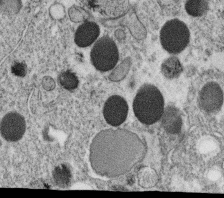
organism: C. elegans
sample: C. elegans oocyte; sperm cells